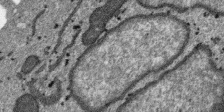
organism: Human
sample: Lung epithelial cells, uninfected (mock) control